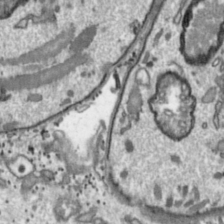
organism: Toxoplasma gondii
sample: Parasites in a vacuole inside a host cell